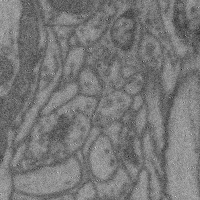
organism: Mouse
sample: Cerebral cortex